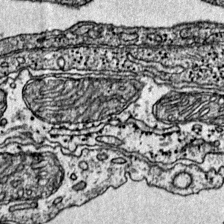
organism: Mouse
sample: Primary visual cortex